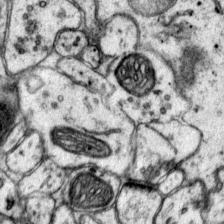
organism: Mouse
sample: Primary visual cortex